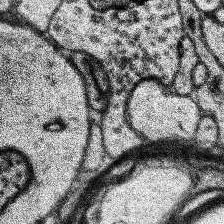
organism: Human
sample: Temporal Lobe